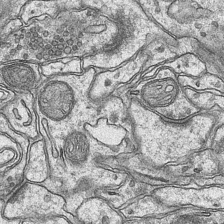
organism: Mouse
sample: CA1 Hippocampus